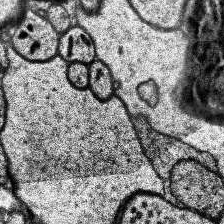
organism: Human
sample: Temporal Lobe